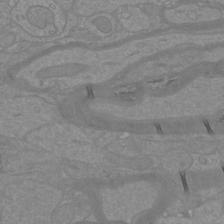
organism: Mouse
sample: Cortical neurons